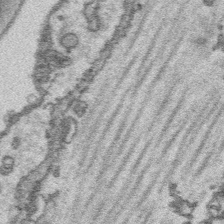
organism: Platynereis dumerilii